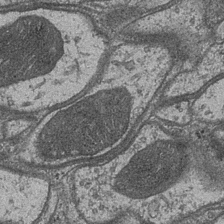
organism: Drosophila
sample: Optic medulla